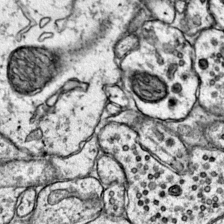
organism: Mouse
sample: Primary visual cortex